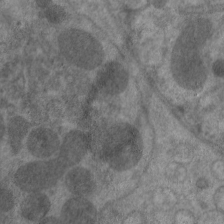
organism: C. elegans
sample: Pharynx